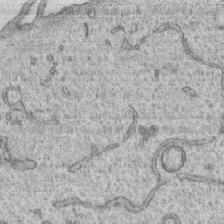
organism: Human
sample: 1205lu cells